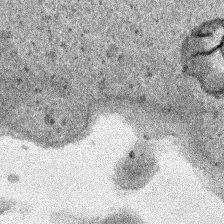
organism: Human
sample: Mitochondria in HCT116 cells